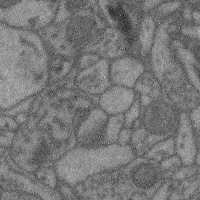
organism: Mouse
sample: Cerebral cortex